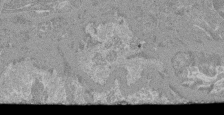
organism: Mouse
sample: Glomerulus